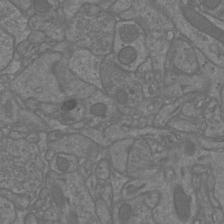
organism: Mouse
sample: Cortical neurons